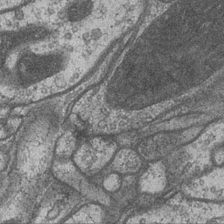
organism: Drosophila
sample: Optic medulla